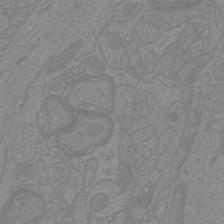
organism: Mouse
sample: Cortical neurons